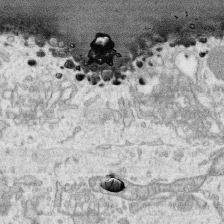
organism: Human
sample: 1205lu cells